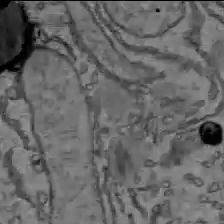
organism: C57BL Mouse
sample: Liver